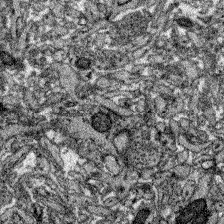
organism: Zebrafish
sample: Larval olfactory bulb